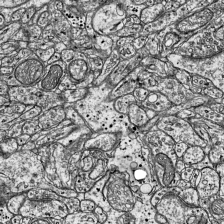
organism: Mouse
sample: Visual Cortex